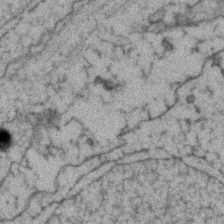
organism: Zebrafish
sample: Zebrafish embryo